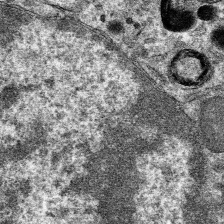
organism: Mouse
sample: Mouse hepatocytes